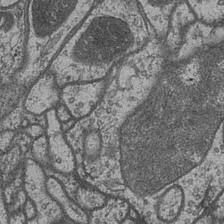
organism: Drosophila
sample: Optic medulla